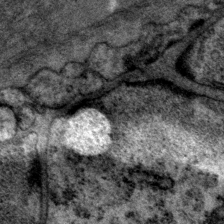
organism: P. pacificus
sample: Pharynx